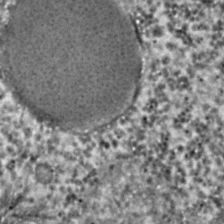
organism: C. elegans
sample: C. elegans embryo